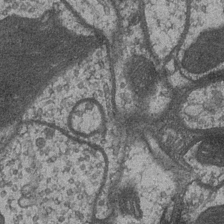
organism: Drosophila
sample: Optic medulla